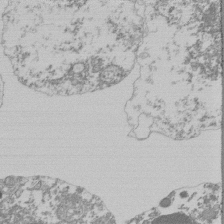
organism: Mouse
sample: Activated Pmel transgenic CD8+ T Cells